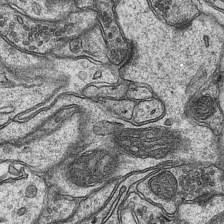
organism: Mouse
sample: CA1 Hippocampus